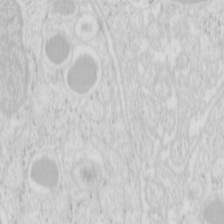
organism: Mouse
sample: Pancreas